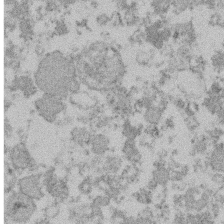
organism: Mouse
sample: Dividing mouse embryo 1 cell stage